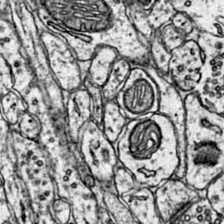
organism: Mouse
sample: Primary visual cortex